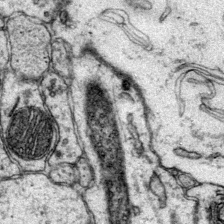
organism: Mouse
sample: Primary visual cortex